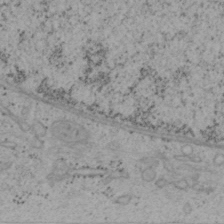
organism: Human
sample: HeLa cells